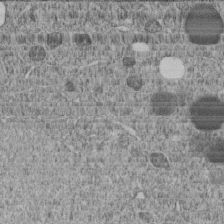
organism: C. elegans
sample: C. elegans embryo early stage